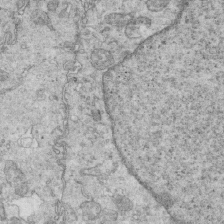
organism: Mouse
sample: Multiciliated cells